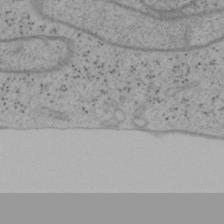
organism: Human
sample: HeLa cells